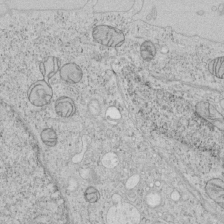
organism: Human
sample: Mitochondria in HCT116 cells